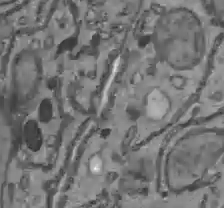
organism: C57BL Mouse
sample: Liver